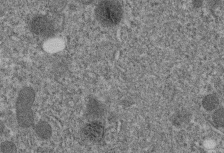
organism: C. elegans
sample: C. elegans embryo early stage